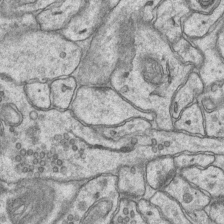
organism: Mouse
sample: CA1 Hippocampus